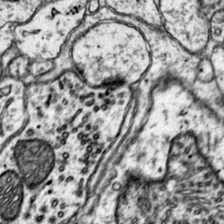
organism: Mouse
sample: Primary visual cortex